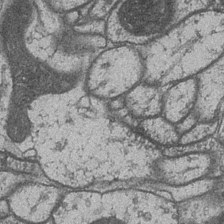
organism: Drosophila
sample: Optic medulla